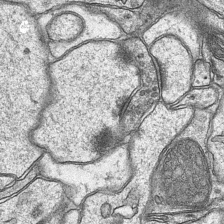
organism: Mouse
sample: CA1 Hippocampus